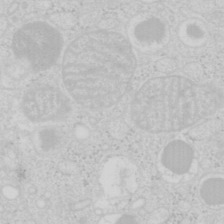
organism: Mouse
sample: Pancreas